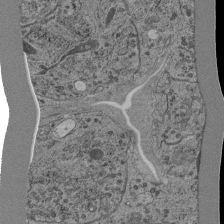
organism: C. elegans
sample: C. elegans pharynx